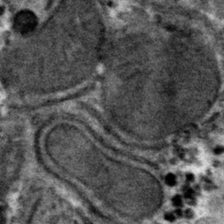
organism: Mouse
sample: Mouse hepatocytes